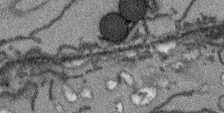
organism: Arabidopsis thaliana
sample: Root tip